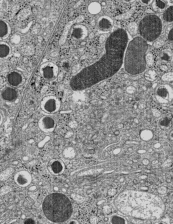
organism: C57BL Mouse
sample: Pancreatic islet